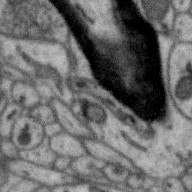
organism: Zebra finch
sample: Brain